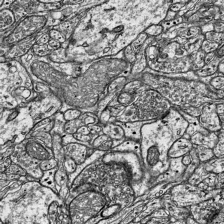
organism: Mouse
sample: Visual Cortex